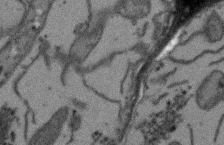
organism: Arabidopsis thaliana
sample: Root tip